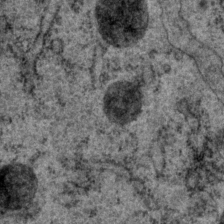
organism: P. pacificus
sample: Pharynx